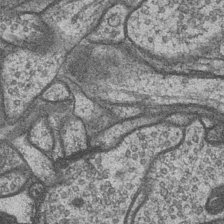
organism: Drosophila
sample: Optic medulla